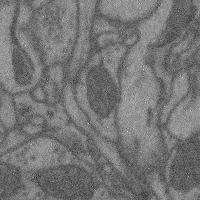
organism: Mouse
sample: Cerebral cortex